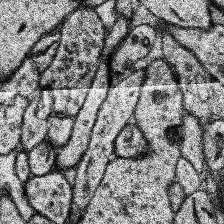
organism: Human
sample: Temporal Lobe